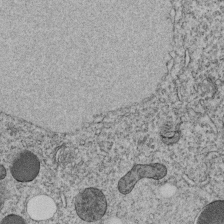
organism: C. elegans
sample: C. elegans embryo early stage